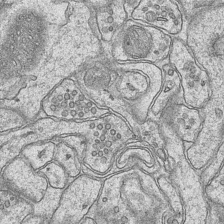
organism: Mouse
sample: CA1 Hippocampus